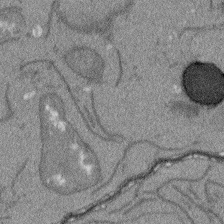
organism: Arabidopsis thaliana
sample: Root tip